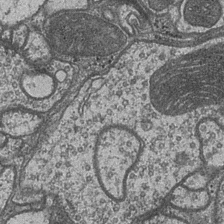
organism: Drosophila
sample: Optic medulla